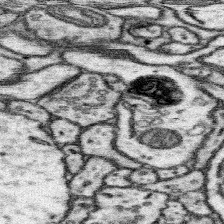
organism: Mouse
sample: Somatosensory cortex neuropil